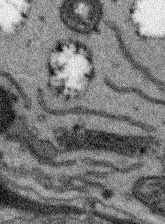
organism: Arabidopsis thaliana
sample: Root tip